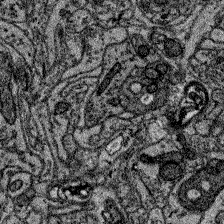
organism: Zebrafish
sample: Larval olfactory bulb